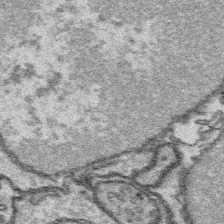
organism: Platynereis dumerilii